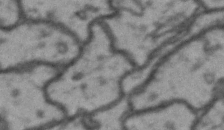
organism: Drosophila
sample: Brain